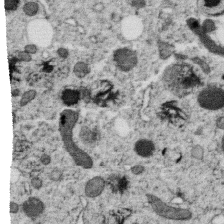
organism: C. elegans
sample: C. elegans oocyte; sperm cells